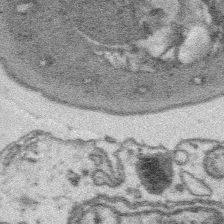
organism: Platynereis dumerilii